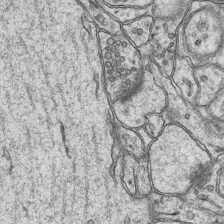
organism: Mouse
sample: CA1 Hippocampus